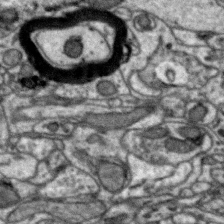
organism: Zebra finch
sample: Brain